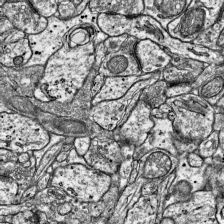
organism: Mouse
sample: Visual Cortex